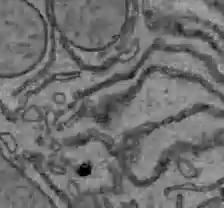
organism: C57BL Mouse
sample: Liver